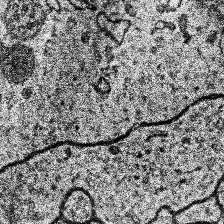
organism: Human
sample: Temporal Lobe